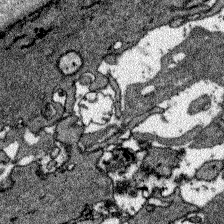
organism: Zebrafish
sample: Larval olfactory bulb